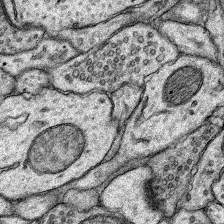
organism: Rat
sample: Hippocampus